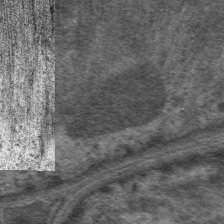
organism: C. elegans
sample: Pharynx